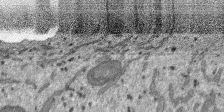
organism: Human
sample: Lung epithelial cells infected with SARS-CoV-2